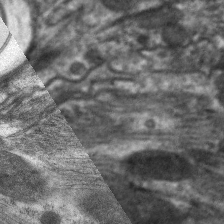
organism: C. elegans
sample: Pharynx